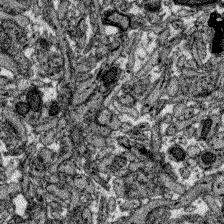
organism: Zebrafish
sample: Larval olfactory bulb